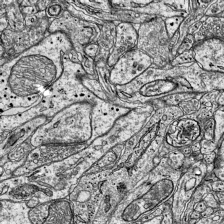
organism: Mouse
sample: Visual Cortex